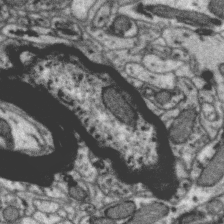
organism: Zebra finch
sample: Brain